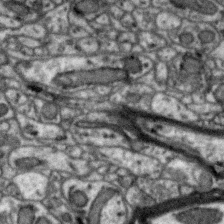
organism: Zebra finch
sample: Brain